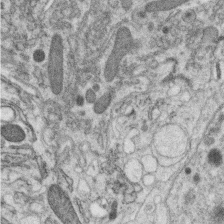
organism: C. elegans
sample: C. elegans oocyte; sperm cells